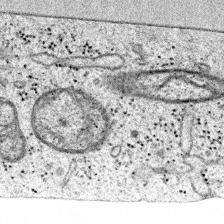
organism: Human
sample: HeLa cells